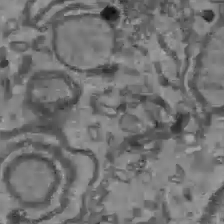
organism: C57BL Mouse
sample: Liver